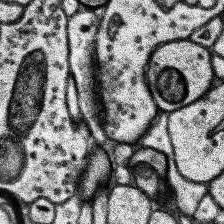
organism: Human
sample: Temporal Lobe